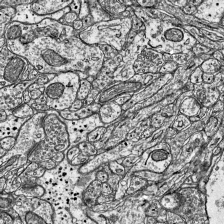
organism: Mouse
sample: Visual Cortex